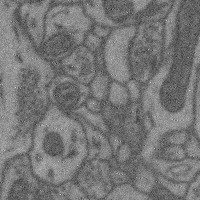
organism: Mouse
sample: Cerebral cortex